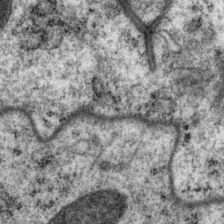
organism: P. pacificus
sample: Pharynx